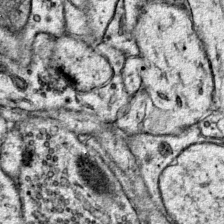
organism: Mouse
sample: Primary visual cortex